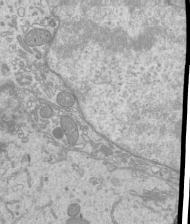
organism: Mouse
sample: Cilia; mouse epididymis